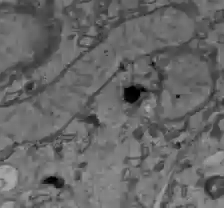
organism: C57BL Mouse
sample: Liver